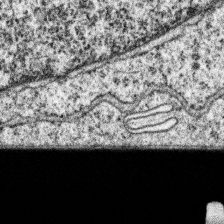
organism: Human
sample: HeLa cells